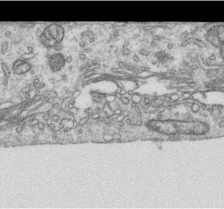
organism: Human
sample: Centriole in RPE cells